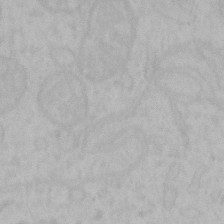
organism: Mouse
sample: Choroid plexus